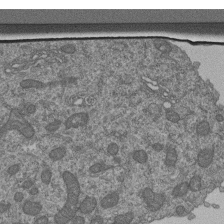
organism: Human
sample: Retinal organoid Rod and Cone cells